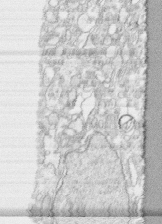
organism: Human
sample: CRL-1474